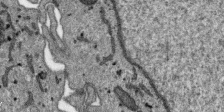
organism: Human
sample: Lung epithelial cells, uninfected (mock) control